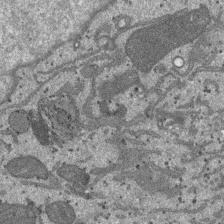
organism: Human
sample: Lung epithelial cells infected with SARS-CoV-2